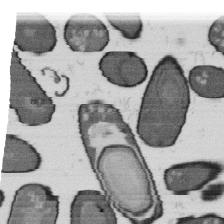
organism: B. subtilis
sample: Bacterial spore